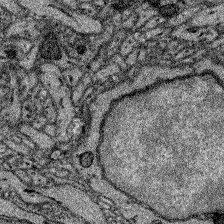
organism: Zebrafish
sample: Larval olfactory bulb